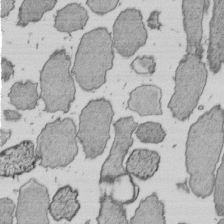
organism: E. coli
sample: Bacterial nucleoid